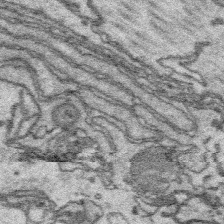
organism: Platynereis dumerilii